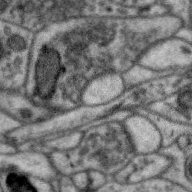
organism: Zebra finch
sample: Brain